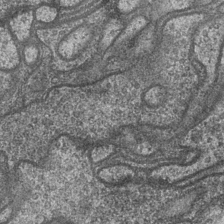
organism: Drosophila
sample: Optic medulla